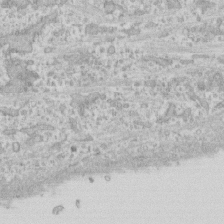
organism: Human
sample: CRL-1474